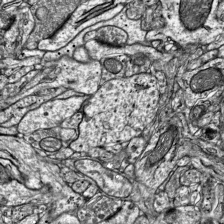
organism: Mouse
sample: Visual Cortex